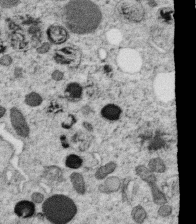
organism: C. elegans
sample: C. elegans oocyte; sperm cells